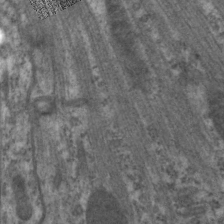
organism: C. elegans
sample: Pharynx